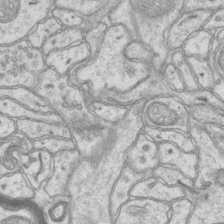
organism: Mouse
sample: CA1 Hippocampus